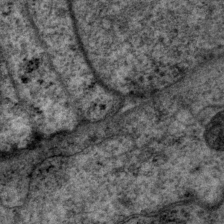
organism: P. pacificus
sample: Pharynx